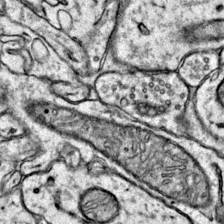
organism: Mouse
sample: Primary visual cortex